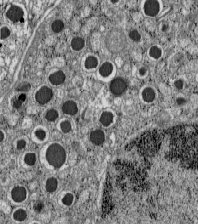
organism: C57BL Mouse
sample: Pancreatic islet